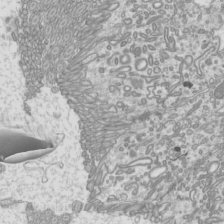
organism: Mouse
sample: Cilia; mouse epididymis